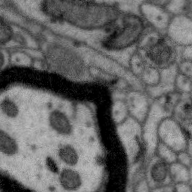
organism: Zebra finch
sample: Brain